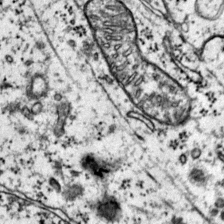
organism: Mouse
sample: Primary visual cortex